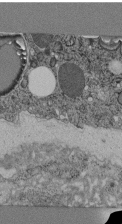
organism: C. elegans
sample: C. elegans pharynx